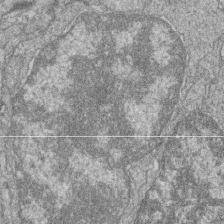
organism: Zebrafish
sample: Cilia; retinal pigment epithelium